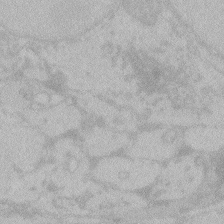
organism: Zebrafish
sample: Macrophage infected with Toxoplasma gondii